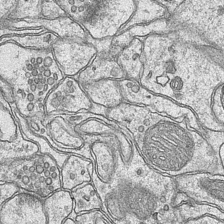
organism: Mouse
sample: CA1 Hippocampus